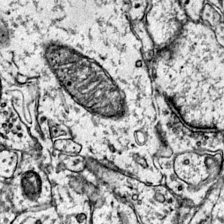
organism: Mouse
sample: Primary visual cortex